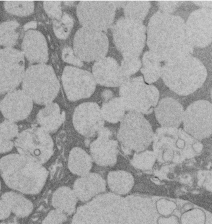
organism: Rat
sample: Salivary granule